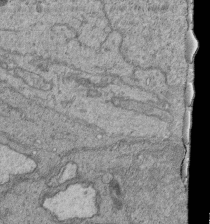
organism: Human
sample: Retinal organoid Rod and Cone cells